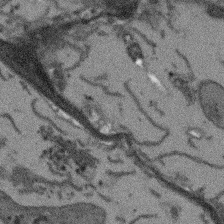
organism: Arabidopsis thaliana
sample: Root tip